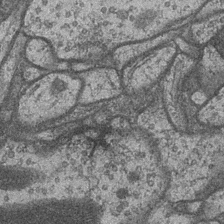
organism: Drosophila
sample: Optic medulla